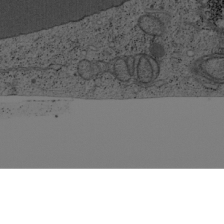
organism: African green monkey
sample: COS-7 cells